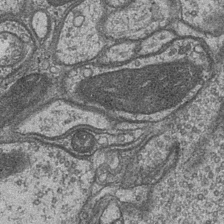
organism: Drosophila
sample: Optic medulla